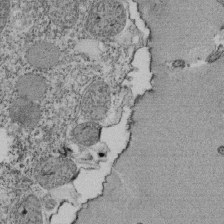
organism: Tetrahymena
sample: Cilia in tetrahymena